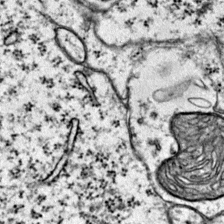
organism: Mouse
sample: Primary visual cortex